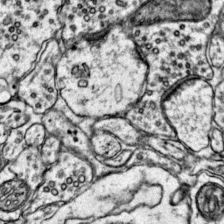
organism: Mouse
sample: Primary visual cortex